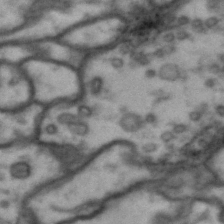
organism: Drosophila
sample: Brain